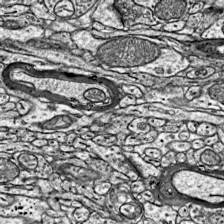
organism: Mouse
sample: Visual Cortex